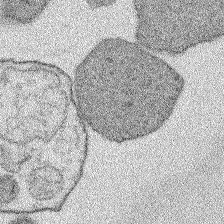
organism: Human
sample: HeLa cells